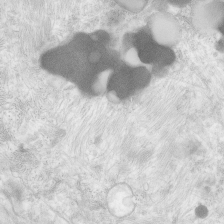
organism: Human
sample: Neocortex